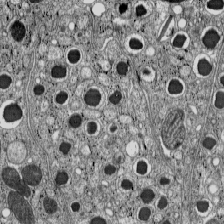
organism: C57BL Mouse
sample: Pancreatic islet